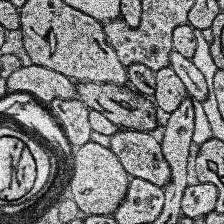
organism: Human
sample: Temporal Lobe